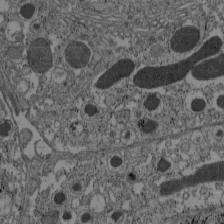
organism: C57BL Mouse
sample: Pancreatic islet